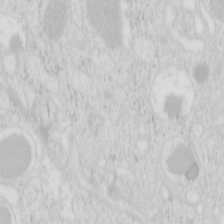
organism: Mouse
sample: Pancreas